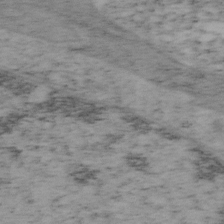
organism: Mouse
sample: OT-I killer T cells with ID8 ovarian cancer cells